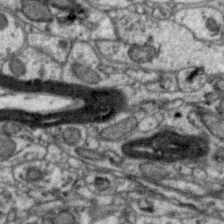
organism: Zebra finch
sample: Brain